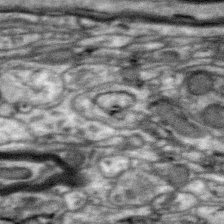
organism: Zebra finch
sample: Brain